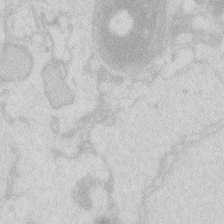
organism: Zebrafish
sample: Macrophage